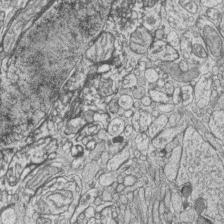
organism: Zebrafish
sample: synaptic ribbons in rod cells and cone cells